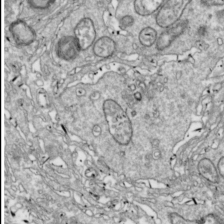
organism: Drosophila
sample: Cell division; meiosis; drosophila spermatocytes